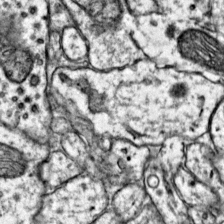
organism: Mouse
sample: Primary visual cortex